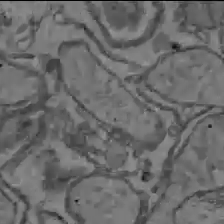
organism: C57BL Mouse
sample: Liver